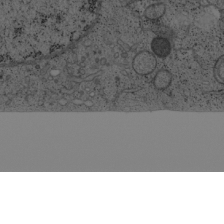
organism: African green monkey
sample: COS-7 cells